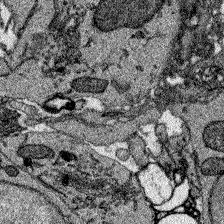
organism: Zebrafish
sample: Larval olfactory bulb